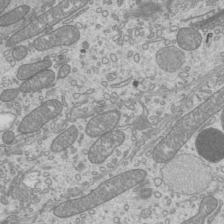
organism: Mouse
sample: Cilia; mouse epididymis